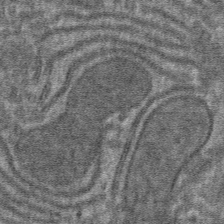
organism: Mouse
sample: Mouse hepatocytes